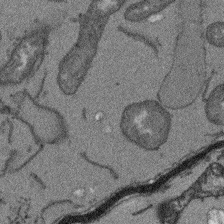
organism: Arabidopsis thaliana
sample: Root tip